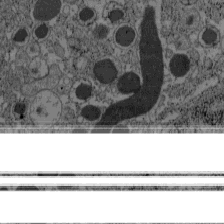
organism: C57BL Mouse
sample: Pancreatic islet